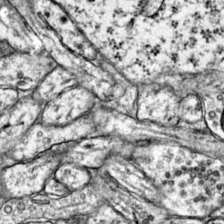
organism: Mouse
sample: Primary visual cortex